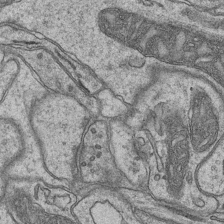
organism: Mouse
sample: CA1 Hippocampus